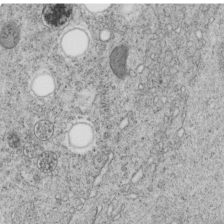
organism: C. elegans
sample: C. elegans embryo early stage